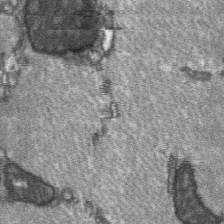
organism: C57BL Mouse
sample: Soleus